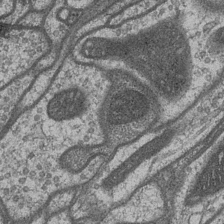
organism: Drosophila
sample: Optic medulla